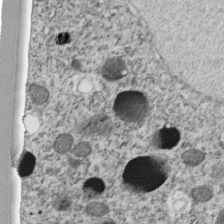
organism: C. elegans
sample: C. elegans embryo early stage